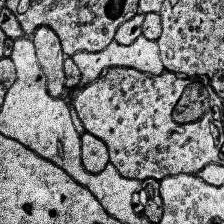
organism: Human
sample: Temporal Lobe